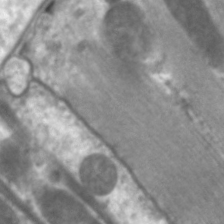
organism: C. elegans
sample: Pharynx